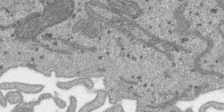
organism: Human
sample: Lung epithelial cells infected with SARS-CoV-2